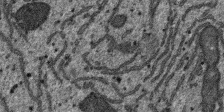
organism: Human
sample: Lung epithelial cells infected with SARS-CoV-2